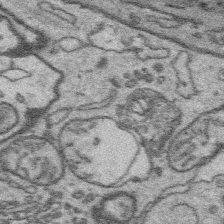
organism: Platynereis dumerilii